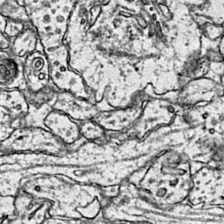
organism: Mouse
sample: Primary visual cortex